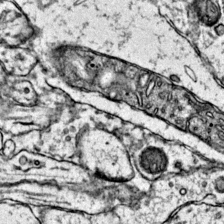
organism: Mouse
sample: Primary visual cortex